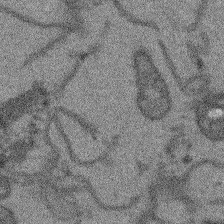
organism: Arabidopsis thaliana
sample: Root tip